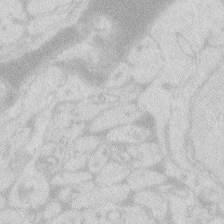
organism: Zebrafish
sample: Macrophage